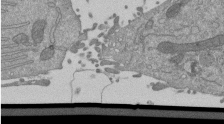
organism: Mouse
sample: ED-1 cell nuclei; centrioles